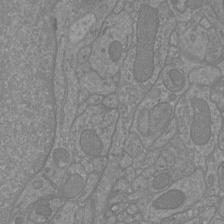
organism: Mouse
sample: Cortical neurons